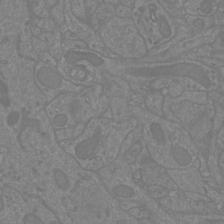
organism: Mouse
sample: Cortical neurons